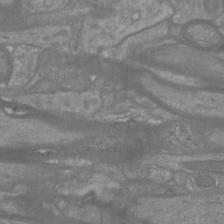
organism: Mouse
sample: Cortical neurons